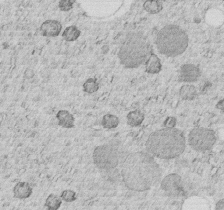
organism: C. elegans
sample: C. elegans embryo early stage